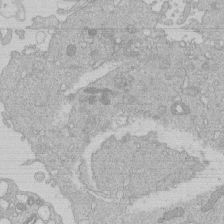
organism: Human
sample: Macrophage cells